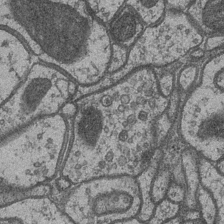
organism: Drosophila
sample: Optic medulla